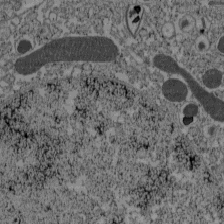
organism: C57BL Mouse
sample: Pancreatic islet